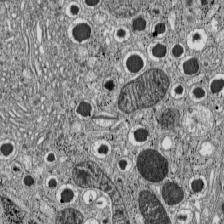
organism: C57BL Mouse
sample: Pancreatic islet